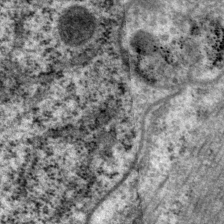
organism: P. pacificus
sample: Pharynx